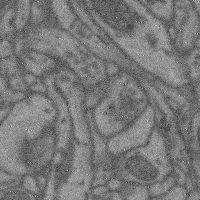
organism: Mouse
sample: Cerebral cortex